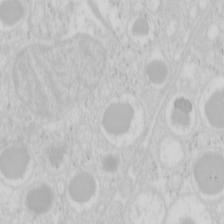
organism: Mouse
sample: Pancreas